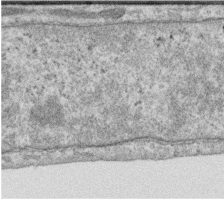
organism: Human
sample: Centriole in RPE cells